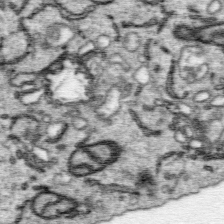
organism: Human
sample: HeLa cells